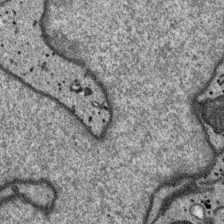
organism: Human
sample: Lung epithelial cells, uninfected (mock) control